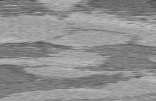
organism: C57BL Mouse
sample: Heart